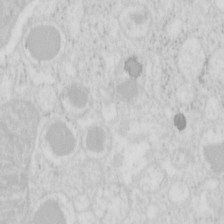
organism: Mouse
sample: Pancreas